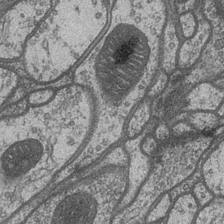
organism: Drosophila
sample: Optic medulla